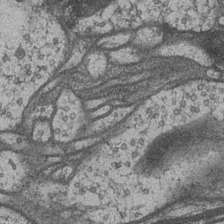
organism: Drosophila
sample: Optic medulla